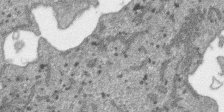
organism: Human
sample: Lung epithelial cells infected with SARS-CoV-2